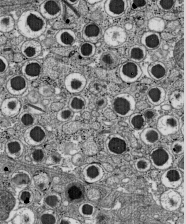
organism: C57BL Mouse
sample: Pancreatic islet